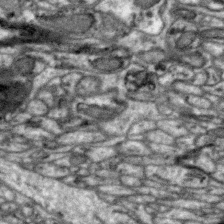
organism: Zebra finch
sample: Brain